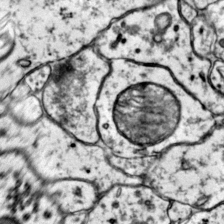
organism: Mouse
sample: Primary visual cortex